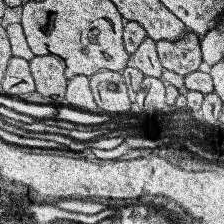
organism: Human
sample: Temporal Lobe